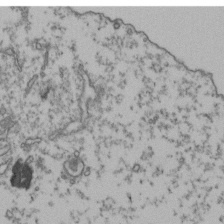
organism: Human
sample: Activated Jurkat CD4+ T cells